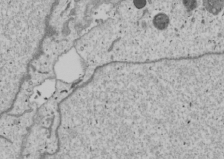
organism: Human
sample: Mitochondria in U2OS cells